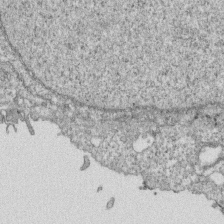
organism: Human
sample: HeLa cell HIV synapse